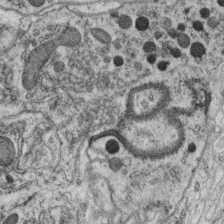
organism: C. elegans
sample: C. elegans oocyte; sperm cells